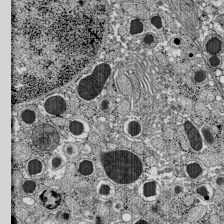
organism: C57BL Mouse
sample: Pancreatic islet